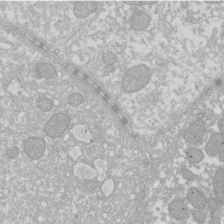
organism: Xenopus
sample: Cilia; centrioles in frog embryo cells